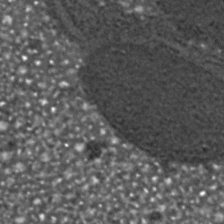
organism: C. elegans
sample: C. elegans embryo